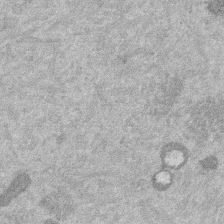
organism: Mouse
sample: Dividing mouse embryo 1 cell stage